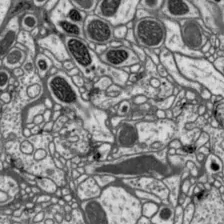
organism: Drosophila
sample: Protocerebral bridge